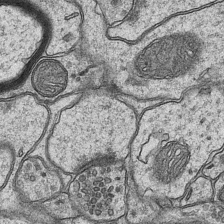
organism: Mouse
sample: CA1 Hippocampus